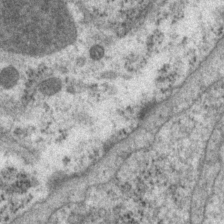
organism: P. pacificus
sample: Pharynx